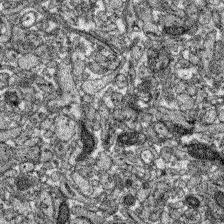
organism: Zebrafish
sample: Larval olfactory bulb